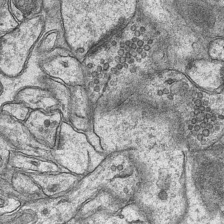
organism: Mouse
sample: CA1 Hippocampus